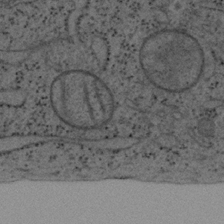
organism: Human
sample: HeLa cells